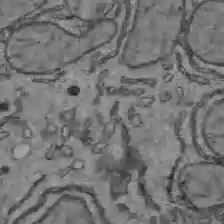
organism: C57BL Mouse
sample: Liver